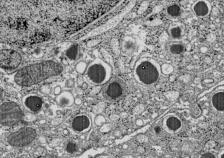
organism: C57BL Mouse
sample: Pancreatic islet